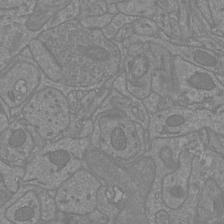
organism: Mouse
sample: Cortical neurons